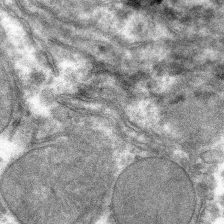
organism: Mouse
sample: Mouse hepatocytes